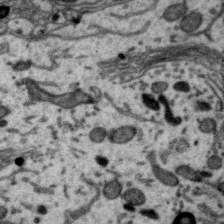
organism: Zebra finch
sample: Brain